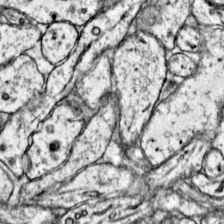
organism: Mouse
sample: Primary visual cortex